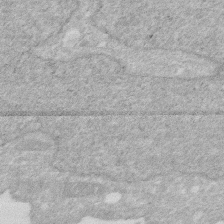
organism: Human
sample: HIV infected U937 cells